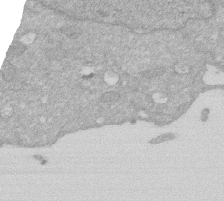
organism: Human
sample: HIV infected U937 cells